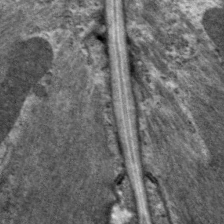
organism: C. elegans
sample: Pharynx